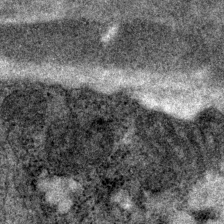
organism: P. pacificus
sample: Pharynx